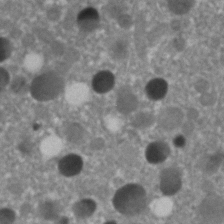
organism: C. elegans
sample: C. elegans embryo